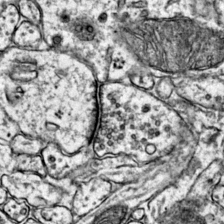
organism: Mouse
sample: Primary visual cortex